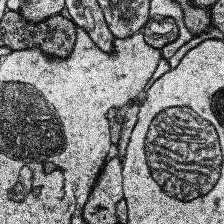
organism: Human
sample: Temporal Lobe